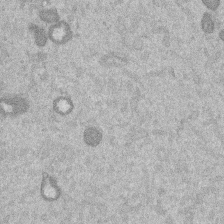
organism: Mouse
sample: Dividing mouse embryo 1 cell stage